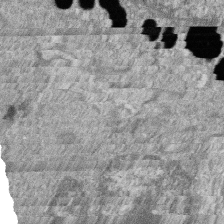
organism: Zebrafish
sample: Cilia; retinal pigment epithelium